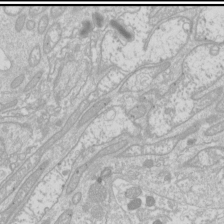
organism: Drosophila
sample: Cell division; meiosis; drosophila spermatocytes